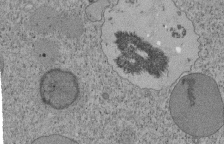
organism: Tetrahymena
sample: Cilia in tetrahymena